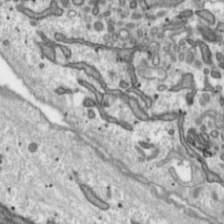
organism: Toxoplasma gondii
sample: Parasites in a vacuole inside a host cell